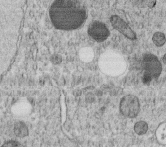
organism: C. elegans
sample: C. elegans embryo early stage